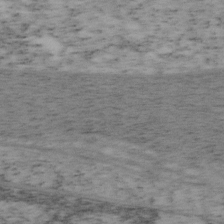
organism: Mouse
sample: OT-I killer T cells with ID8 ovarian cancer cells